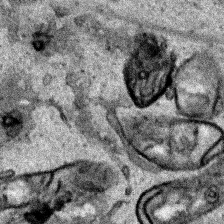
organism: Human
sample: Mitochondria in HCT116 cells